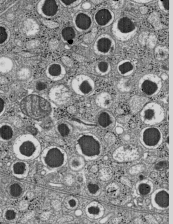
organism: C57BL Mouse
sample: Pancreatic islet